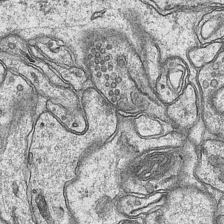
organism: Mouse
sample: CA1 Hippocampus